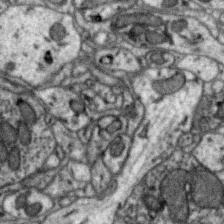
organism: Zebra finch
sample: Brain